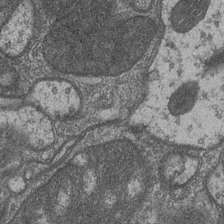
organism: Drosophila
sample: Optic medulla